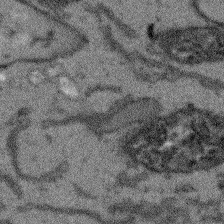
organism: Arabidopsis thaliana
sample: Root tip